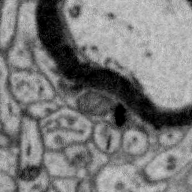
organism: Zebra finch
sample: Brain